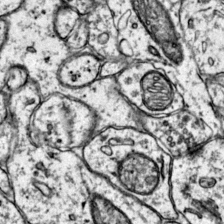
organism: Mouse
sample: Primary visual cortex